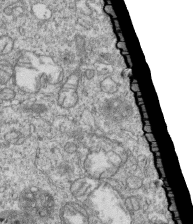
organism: Human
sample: HeLa cell HIV synapse